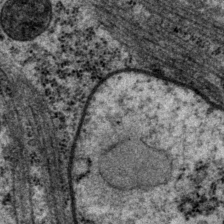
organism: P. pacificus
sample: Pharynx